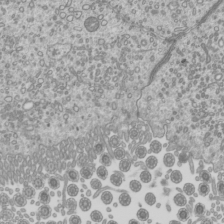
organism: Mouse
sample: Cilia; mouse epididymis